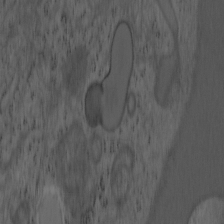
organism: Human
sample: HeLa cells